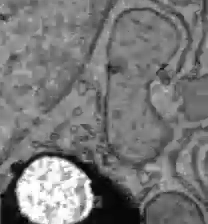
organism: C57BL Mouse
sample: Liver